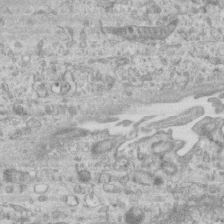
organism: Mouse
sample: Centriole in ependymal cells